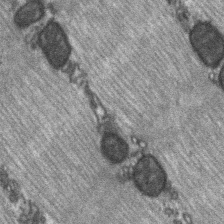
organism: C57BL Mouse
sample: Soleus